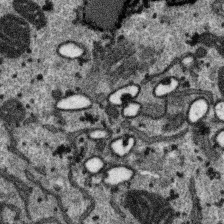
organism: Human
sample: Lung epithelial cells infected with SARS-CoV-2